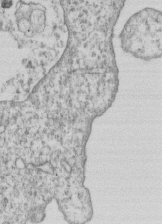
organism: Human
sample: MDA-MB-231 cells